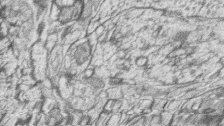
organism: Zebrafish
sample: synaptic ribbons in rod cells and cone cells